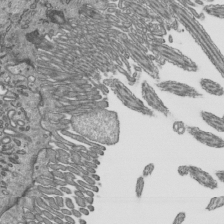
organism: Mouse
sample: Mouse epididymis efferent ductule cilia